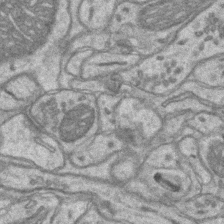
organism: Mouse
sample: CA1 Hippocampus